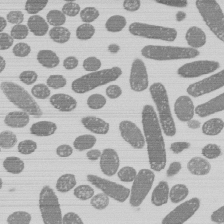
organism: E. coli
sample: Bacterial nucleoid